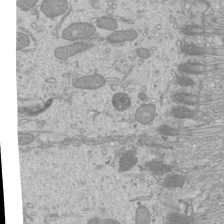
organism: Mouse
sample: Cilia; mouse epididymis